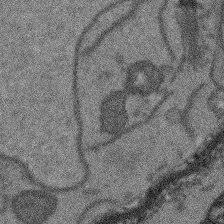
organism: Arabidopsis thaliana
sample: Root tip